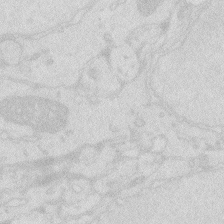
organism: Zebrafish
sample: Macrophage